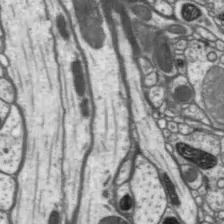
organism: Drosophila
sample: Protocerebral bridge